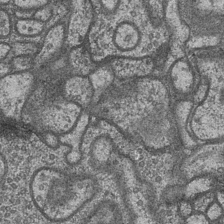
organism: Drosophila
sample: Optic medulla